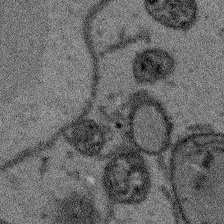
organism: Arabidopsis thaliana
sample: Root tip